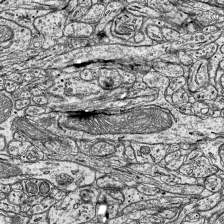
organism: Mouse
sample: Visual Cortex